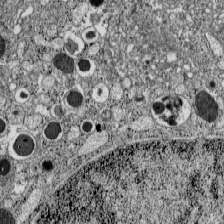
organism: C57BL Mouse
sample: Pancreatic islet